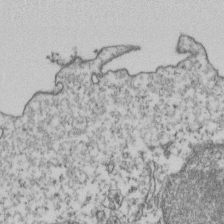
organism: Human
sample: Activated Jurkat CD4+ T cells